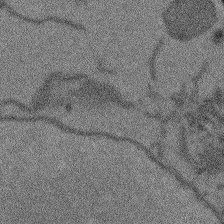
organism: Arabidopsis thaliana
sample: Root tip